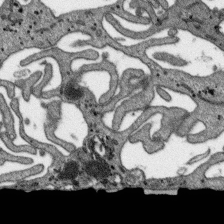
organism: Human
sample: Lung epithelial cells, uninfected (mock) control